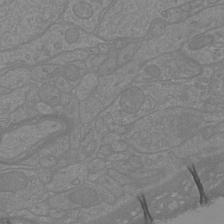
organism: Mouse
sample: Cortical neurons